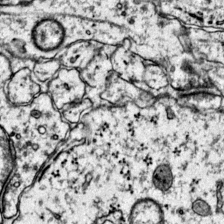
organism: Mouse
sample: Primary visual cortex